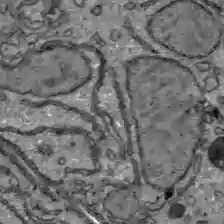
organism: C57BL Mouse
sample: Liver